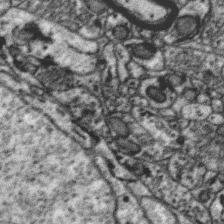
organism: Zebra finch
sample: Brain